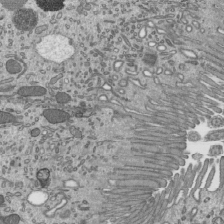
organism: Mouse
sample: Mouse epididymis efferent ductule cilia